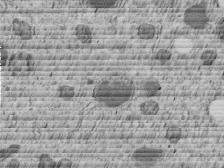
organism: C. elegans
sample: C. elegans embryo early stage